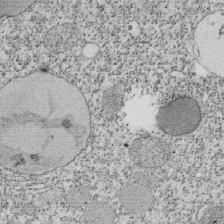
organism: Tetrahymena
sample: Cilia in tetrahymena